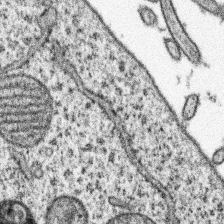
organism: Human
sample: HeLa cells